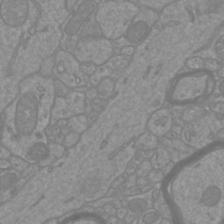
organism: Mouse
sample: Cortical neurons